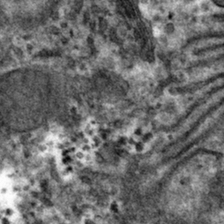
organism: Mouse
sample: Mouse hepatocytes